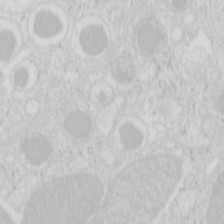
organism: Mouse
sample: Pancreas